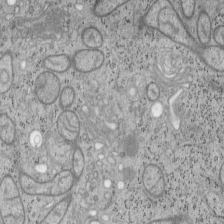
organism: Mouse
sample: OT-I killer T cells with ID8 ovarian cancer cells